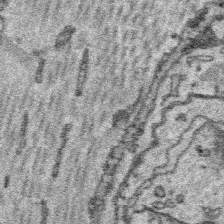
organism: Platynereis dumerilii